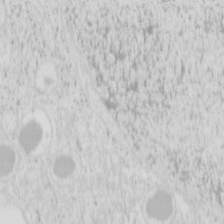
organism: Mouse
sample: Pancreas